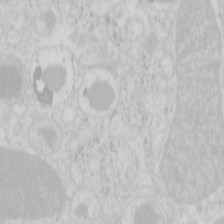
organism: Mouse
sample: Pancreas